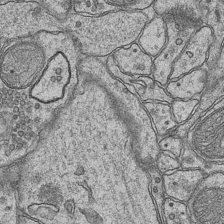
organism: Mouse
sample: CA1 Hippocampus